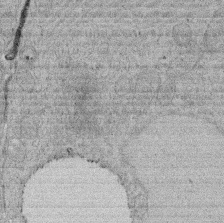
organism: Rat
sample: Salivary granule